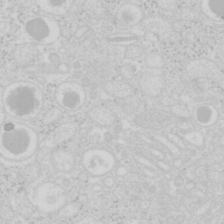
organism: Mouse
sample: Pancreas